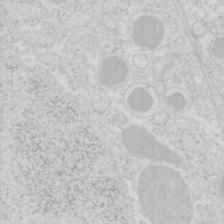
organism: Mouse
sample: Pancreas